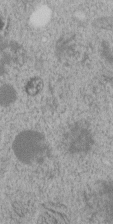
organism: C. elegans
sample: C. elegans embryo early stage